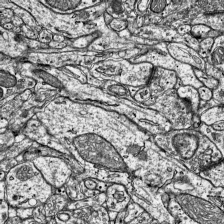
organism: Mouse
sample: Visual Cortex